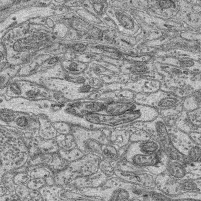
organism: Mouse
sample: Retina